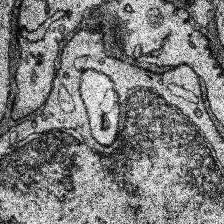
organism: Human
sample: Temporal Lobe